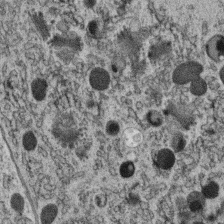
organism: C. elegans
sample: C. elegans oocyte; sperm cells